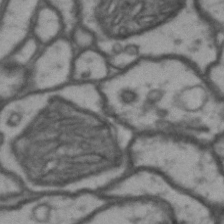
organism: Drosophila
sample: Brain